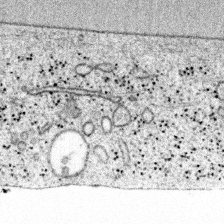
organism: Human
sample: HeLa cells